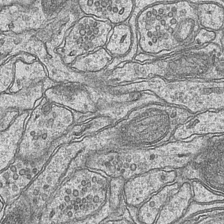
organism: Mouse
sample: CA1 Hippocampus